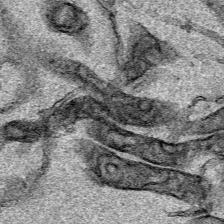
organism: Human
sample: Mitochondria in HCT116 cells